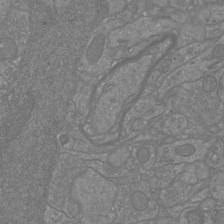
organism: Mouse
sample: Cortical neurons